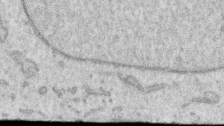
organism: Human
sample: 1205lu cells